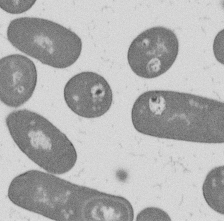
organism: B. subtilis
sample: Bacterial spore